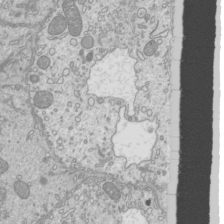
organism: Mouse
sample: Cilia; mouse epididymis